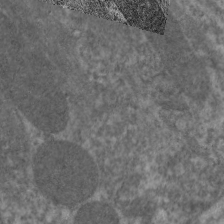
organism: C. elegans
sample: Pharynx